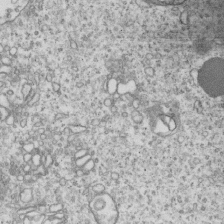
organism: Human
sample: MDA-MB-231 cells